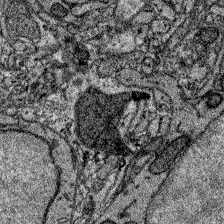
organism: Zebrafish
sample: Larval olfactory bulb